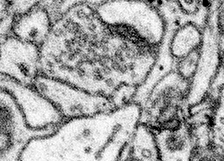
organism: Mouse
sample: Somatosensory cortex neuropil